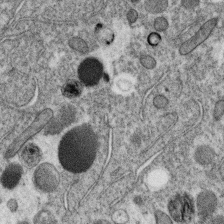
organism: C. elegans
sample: C. elegans oocyte; sperm cells